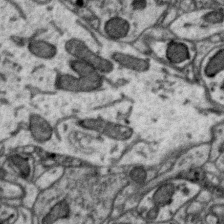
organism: Zebra finch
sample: Brain